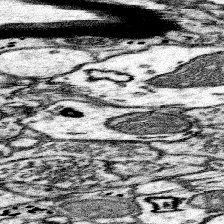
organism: Mouse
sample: Somatosensory cortex neuropil